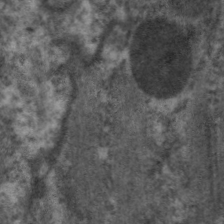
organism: C. elegans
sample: Pharynx